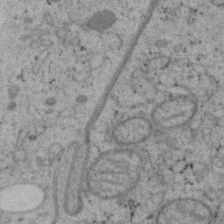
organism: Human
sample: HeLa cells